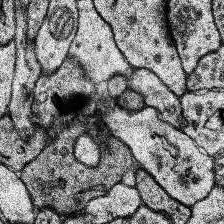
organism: Human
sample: Temporal Lobe